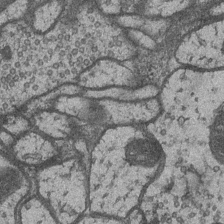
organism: Drosophila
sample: Optic medulla